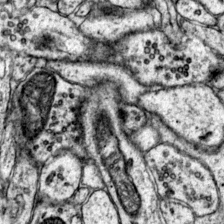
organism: Mouse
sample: Primary visual cortex